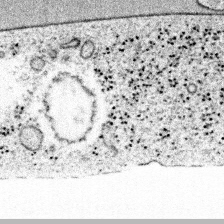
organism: Human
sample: HeLa cells